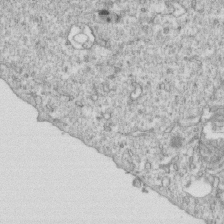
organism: Mouse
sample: Activated OT-1 CD8+ T cells